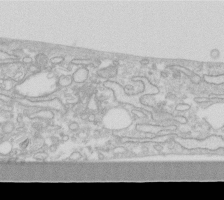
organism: Human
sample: Fibroblast cells